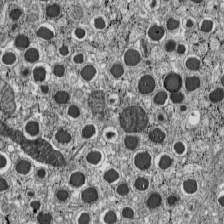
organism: C57BL Mouse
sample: Pancreatic islet